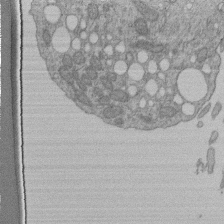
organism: Human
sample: Retinal organoid Rod and Cone cells